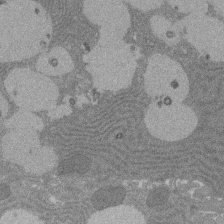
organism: Rat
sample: Salivary granule